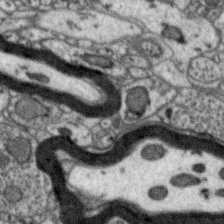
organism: Zebra finch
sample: Brain